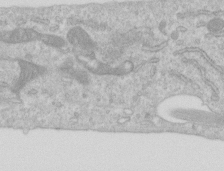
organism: Human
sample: Centriole in RPE cells